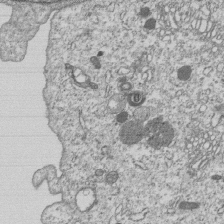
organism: Human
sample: MDA-MB-231 cells